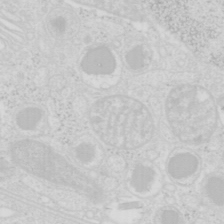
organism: Mouse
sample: Pancreas